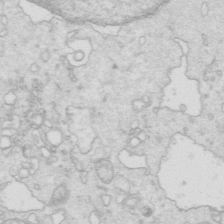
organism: Mouse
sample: Multiciliated cells